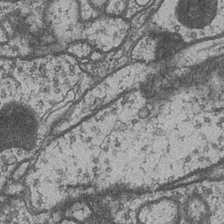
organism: Drosophila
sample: Optic medulla